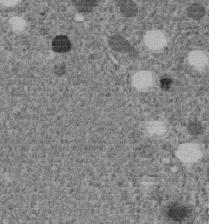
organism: C. elegans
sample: C. elegans embryo early stage